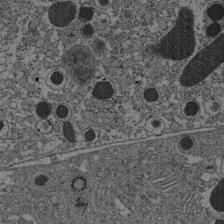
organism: C57BL Mouse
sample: Pancreatic islet